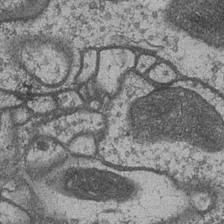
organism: Drosophila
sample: Optic medulla